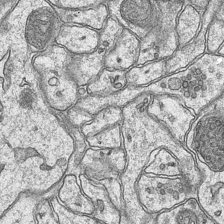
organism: Mouse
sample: CA1 Hippocampus